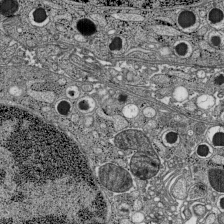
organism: C57BL Mouse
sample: Pancreatic islet